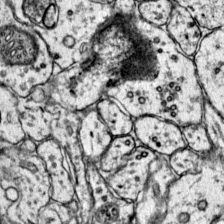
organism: Mouse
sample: Primary visual cortex